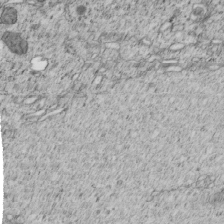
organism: C. elegans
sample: C. elegans embryo early stage